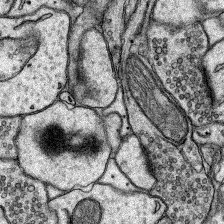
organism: Rat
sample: Hippocampus